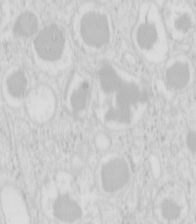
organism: Mouse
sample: Pancreas